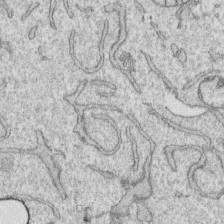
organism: Human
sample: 1205lu cells